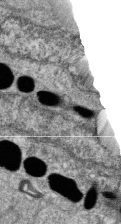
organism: Zebrafish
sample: Cilia; retinal pigment epithelium